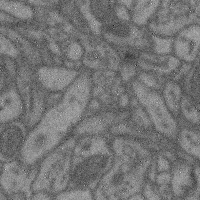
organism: Mouse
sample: Cerebral cortex